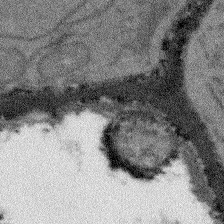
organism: Arabidopsis thaliana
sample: Root tip